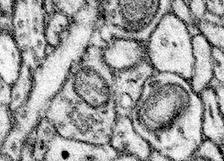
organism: Mouse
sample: Somatosensory cortex neuropil